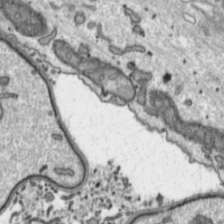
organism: Toxoplasma gondii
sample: Parasites in a vacuole inside a host cell